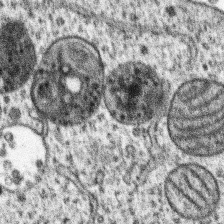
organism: Human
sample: HeLa cells